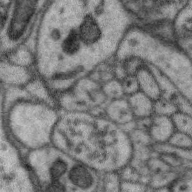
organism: Zebra finch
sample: Brain